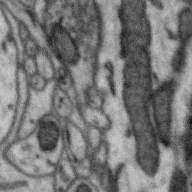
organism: Zebra finch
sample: Brain